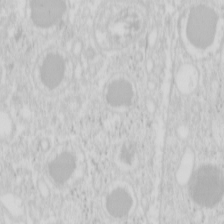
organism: Mouse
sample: Pancreas